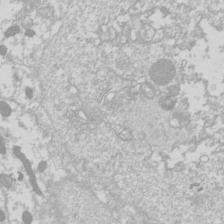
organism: Drosophila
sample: Cell division; meiosis; drosophila spermatocytes